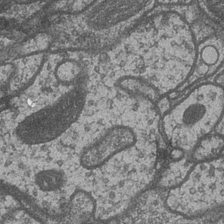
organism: Drosophila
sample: Optic medulla